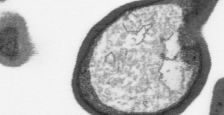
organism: Plasmodium falciparum